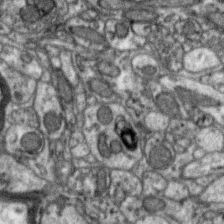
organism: Zebra finch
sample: Brain